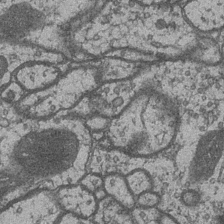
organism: Drosophila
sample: Optic medulla